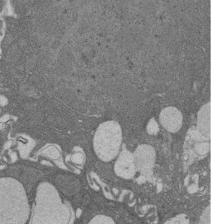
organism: Rat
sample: Salivary granule